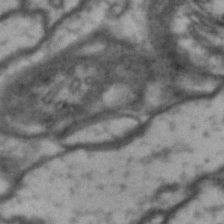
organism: Drosophila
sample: Brain